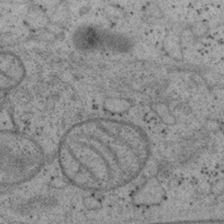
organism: Human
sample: HeLa cells